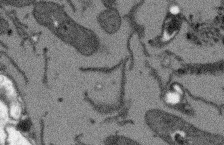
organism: Arabidopsis thaliana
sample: Root tip